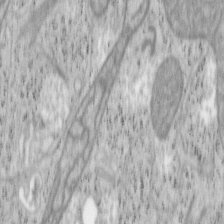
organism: Human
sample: HeLa cells